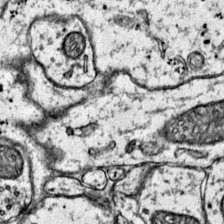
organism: Mouse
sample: Primary visual cortex